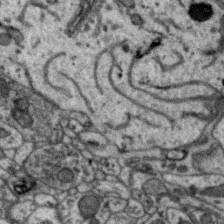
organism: Zebra finch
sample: Brain